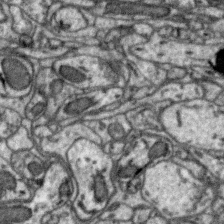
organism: Zebra finch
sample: Brain